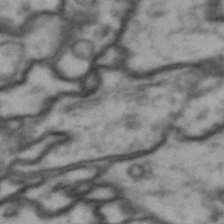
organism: Drosophila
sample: Brain